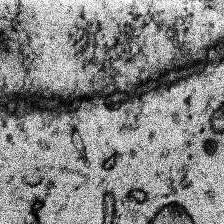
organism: Human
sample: Temporal Lobe